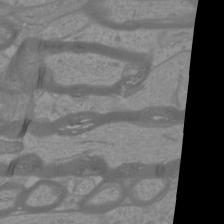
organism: Mouse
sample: Cortical neurons